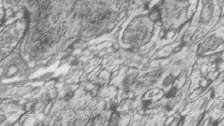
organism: Zebrafish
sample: synaptic ribbons in rod cells and cone cells